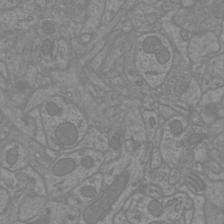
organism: Mouse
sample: Cortical neurons